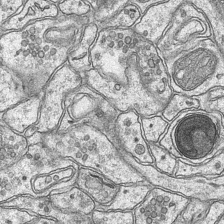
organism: Mouse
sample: CA1 Hippocampus